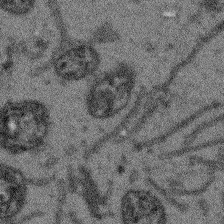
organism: Arabidopsis thaliana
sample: Root tip